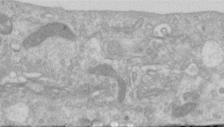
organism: Human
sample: Centriole in RPE cells